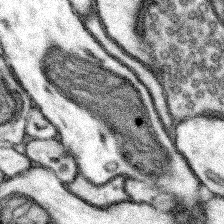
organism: Mouse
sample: Somatosensory cortex neuropil